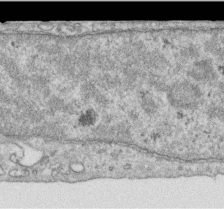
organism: Human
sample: Centriole in RPE cells